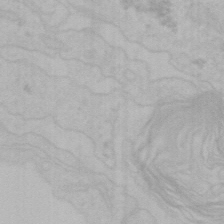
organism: Mouse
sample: Choroid plexus